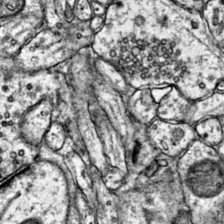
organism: Mouse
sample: Primary visual cortex